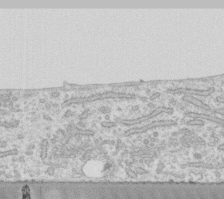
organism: Human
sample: Fibroblast cells